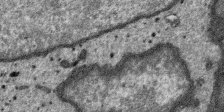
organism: Human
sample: Lung epithelial cells, uninfected (mock) control